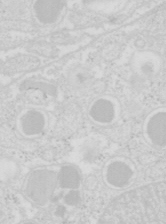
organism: Mouse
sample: Pancreas